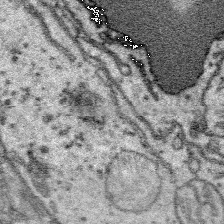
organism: Platynereis dumerilii